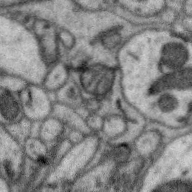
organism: Zebra finch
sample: Brain